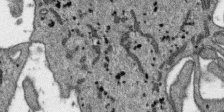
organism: Human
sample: Lung epithelial cells, uninfected (mock) control